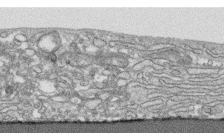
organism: Human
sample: CRL-1474